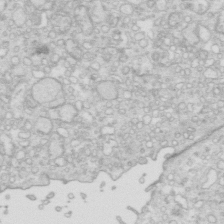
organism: Mouse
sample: Multiciliated cells